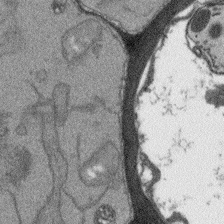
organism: Arabidopsis thaliana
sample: Root tip